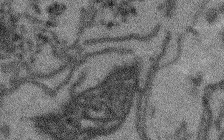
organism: Arabidopsis thaliana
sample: Root tip